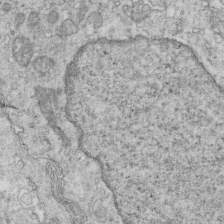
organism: Mouse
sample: Multiciliated cells